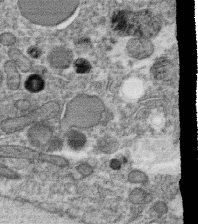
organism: C. elegans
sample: C. elegans oocyte; sperm cells